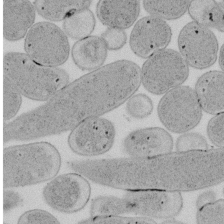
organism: E. coli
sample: Bacterial nucleoid